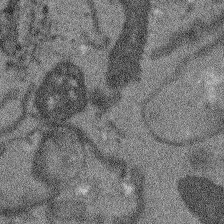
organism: Arabidopsis thaliana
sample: Root tip